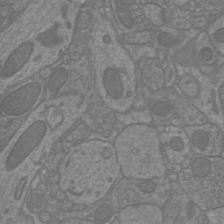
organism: Mouse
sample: Cortical neurons